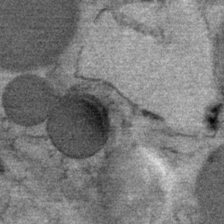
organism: Mouse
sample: Mouse Salivary gland